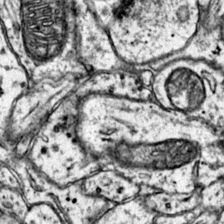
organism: Mouse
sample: Primary visual cortex